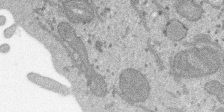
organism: Human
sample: Lung epithelial cells infected with SARS-CoV-2